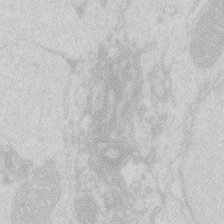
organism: Zebrafish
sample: Macrophage